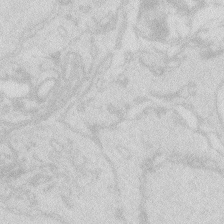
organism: Zebrafish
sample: Macrophage